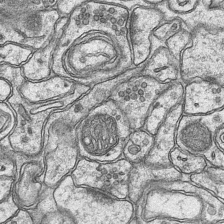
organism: Mouse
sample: CA1 Hippocampus